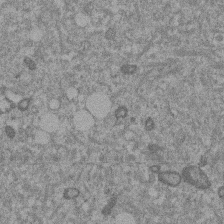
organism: Mouse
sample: Dividing mouse embryo 1 cell stage